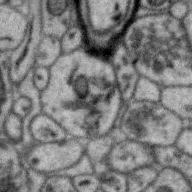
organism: Zebra finch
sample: Brain